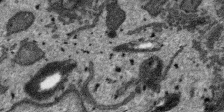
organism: Human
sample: Lung epithelial cells, uninfected (mock) control